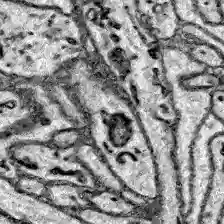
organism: Zebrafish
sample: Brain